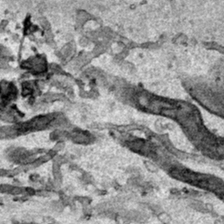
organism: Human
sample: Mitochondria in HCT116 cells